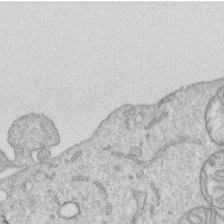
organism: Human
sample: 1205lu cells